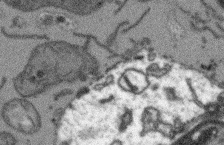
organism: Arabidopsis thaliana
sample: Root tip